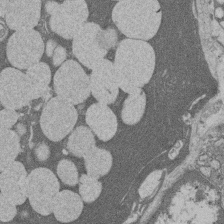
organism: Rat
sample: Salivary granule